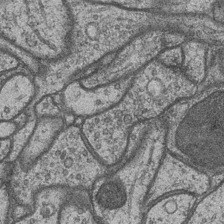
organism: Drosophila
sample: Optic medulla